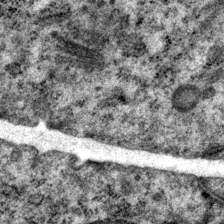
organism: P. pacificus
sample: Pharynx